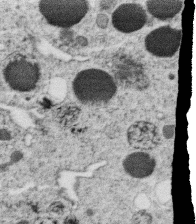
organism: C. elegans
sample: C. elegans oocyte; sperm cells